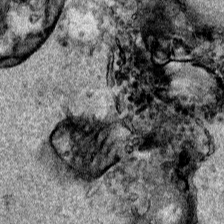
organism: Human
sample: Mitochondria in HCT116 cells